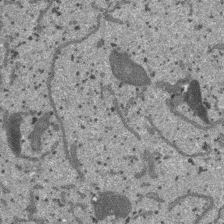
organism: Human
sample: Lung epithelial cells infected with SARS-CoV-2